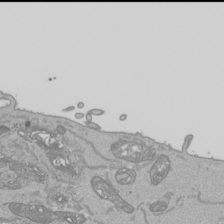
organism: Human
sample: Mitochondria in HCT116 cells